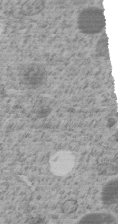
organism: C. elegans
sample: C. elegans embryo early stage